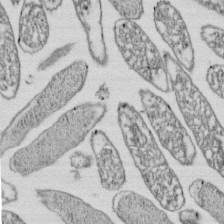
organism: E. coli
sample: Bacterial nucleoid